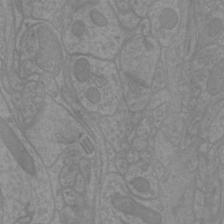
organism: Mouse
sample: Cortical neurons